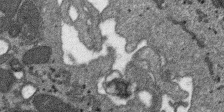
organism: Human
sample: Lung epithelial cells infected with SARS-CoV-2